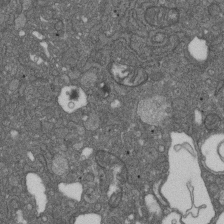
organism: Drosophila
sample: Nephrocyte